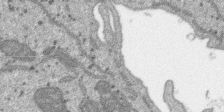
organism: Human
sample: Lung epithelial cells infected with SARS-CoV-2